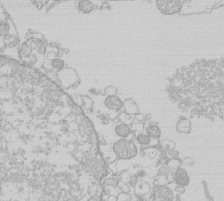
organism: Human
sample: Macrophage cells